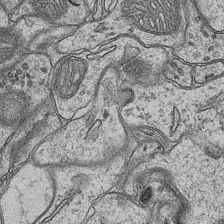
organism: Mouse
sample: CA1 Hippocampus